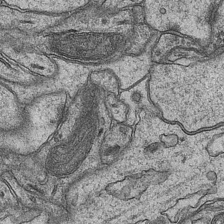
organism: Mouse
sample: CA1 Hippocampus